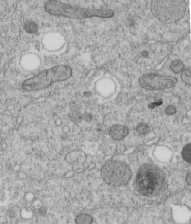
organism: C. elegans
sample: C. elegans embryo early stage